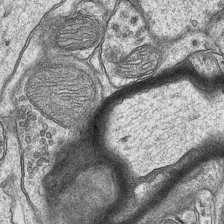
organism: Mouse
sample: CA1 Hippocampus